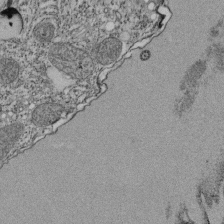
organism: Tetrahymena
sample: Cilia in tetrahymena